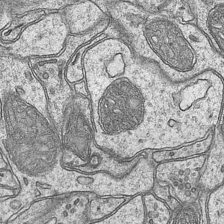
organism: Mouse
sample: CA1 Hippocampus